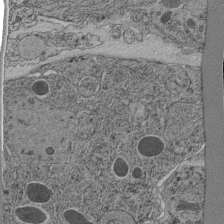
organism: C. elegans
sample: C. elegans pharynx